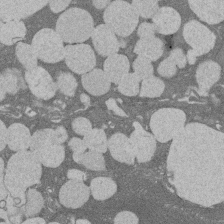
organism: Rat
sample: Salivary granule